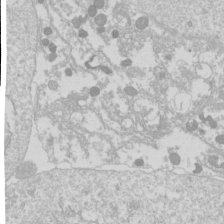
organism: Drosophila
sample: Cell division; meiosis; drosophila spermatocytes